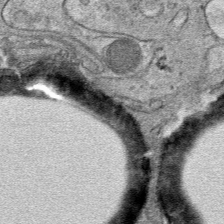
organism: Mouse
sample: Mouse hepatocytes